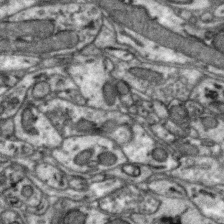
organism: Zebra finch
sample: Brain